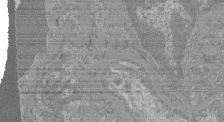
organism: Mouse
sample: Glomerulus